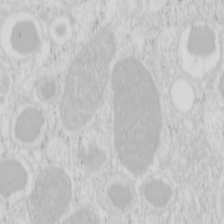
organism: Mouse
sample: Pancreas